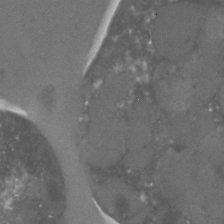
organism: C. elegans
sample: C. elegans embryo